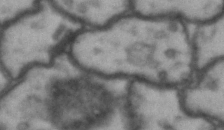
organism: Drosophila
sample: Brain